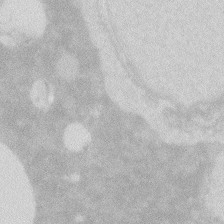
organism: Zebrafish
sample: Macrophage